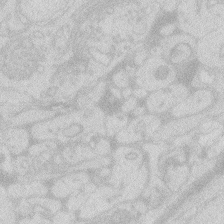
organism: Zebrafish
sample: Macrophage